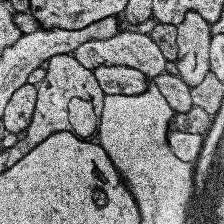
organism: Human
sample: Temporal Lobe